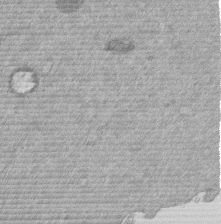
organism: Mouse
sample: Dividing mouse embryo 1 cell stage